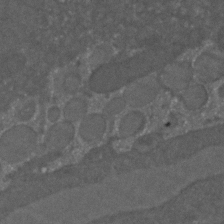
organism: C. elegans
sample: C. elegans embryo